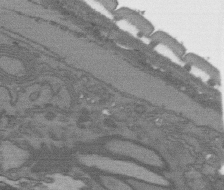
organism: C. elegans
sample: AFD neurons C. elegans